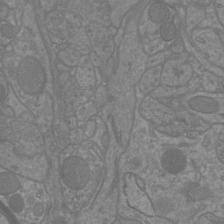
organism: Mouse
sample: Cortical neurons